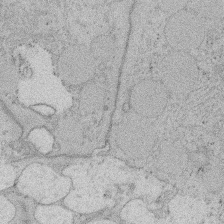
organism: Rat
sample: Salivary granule